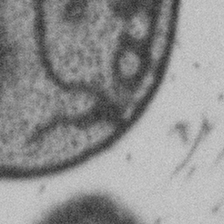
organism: Gemmata obscuriglobus